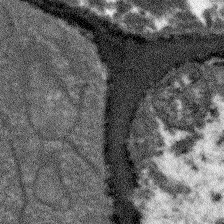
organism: Arabidopsis thaliana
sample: Root tip